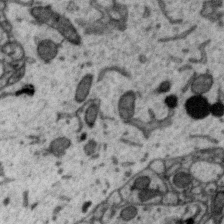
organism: Zebra finch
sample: Brain